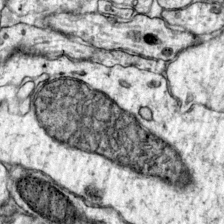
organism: Mouse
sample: Primary visual cortex